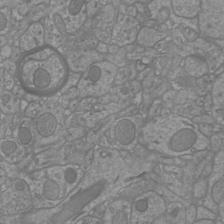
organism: Mouse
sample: Cortical neurons